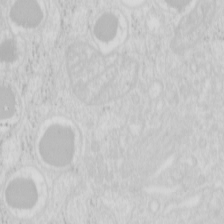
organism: Mouse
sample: Pancreas